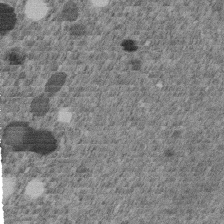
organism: C. elegans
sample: C. elegans embryo early stage